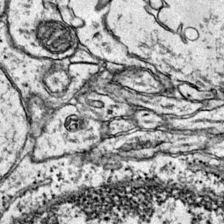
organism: Mouse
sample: Primary visual cortex